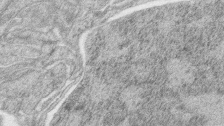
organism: Zebrafish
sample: synaptic ribbons in rod cells and cone cells